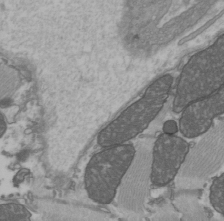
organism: C57BL Mouse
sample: Heart